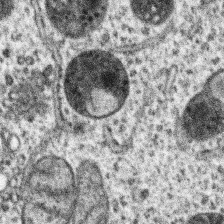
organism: Human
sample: HeLa cells